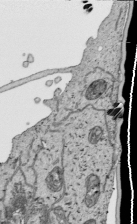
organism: Human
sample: Mitochondria in HCT116 cells